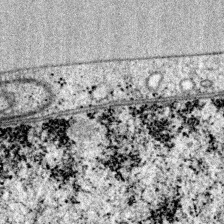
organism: Human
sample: HeLa cells